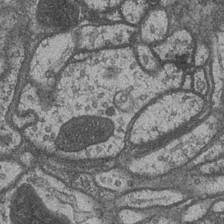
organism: Drosophila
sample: Optic medulla